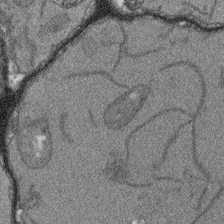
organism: Arabidopsis thaliana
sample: Root tip